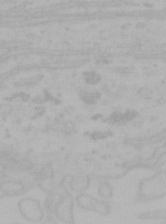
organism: Mouse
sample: Choroid plexus